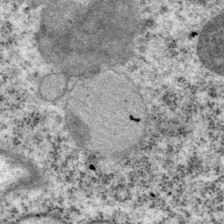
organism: P. pacificus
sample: Pharynx